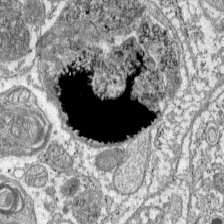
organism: C57BL Mouse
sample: Pancreatic islet